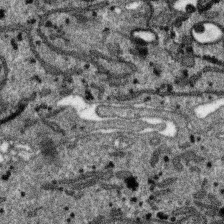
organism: Human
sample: Lung epithelial cells infected with SARS-CoV-2